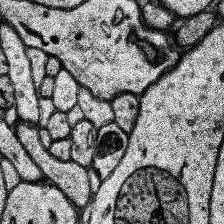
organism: Human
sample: Temporal Lobe